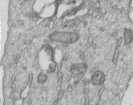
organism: Human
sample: Centriole in RPE cells